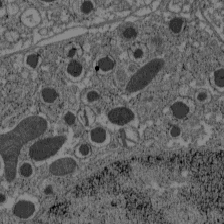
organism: C57BL Mouse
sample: Pancreatic islet